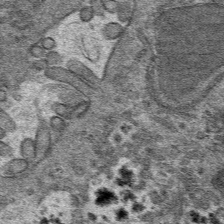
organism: Mouse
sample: Mouse hepatocytes